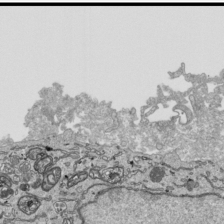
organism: Human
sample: Mitochondria in HCT116 cells